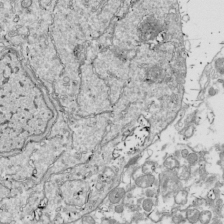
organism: Drosophila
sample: Cell division; meiosis; drosophila spermatocytes